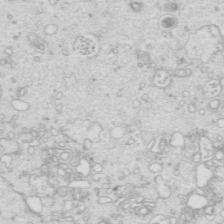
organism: Mouse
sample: Multiciliated cells